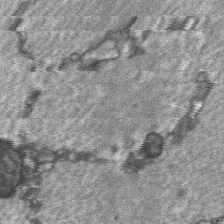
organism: C57BL Mouse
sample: Soleus